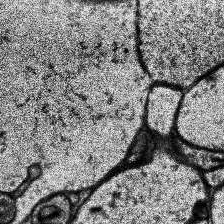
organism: Human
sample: Temporal Lobe